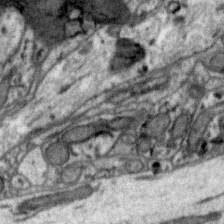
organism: Zebra finch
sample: Brain